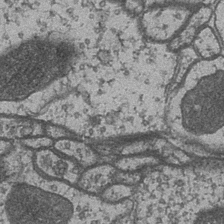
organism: Drosophila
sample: Optic medulla